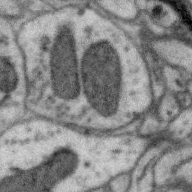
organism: Zebra finch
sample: Brain